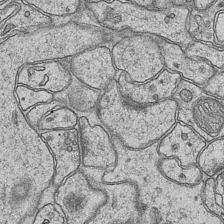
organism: Mouse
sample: CA1 Hippocampus